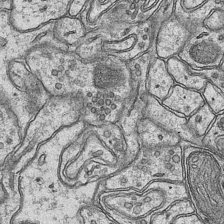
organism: Mouse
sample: CA1 Hippocampus